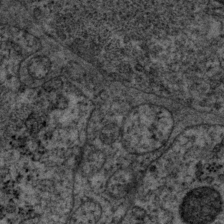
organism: P. pacificus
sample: Pharynx